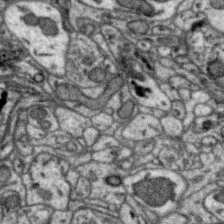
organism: Zebra finch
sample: Brain